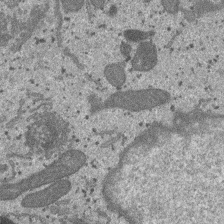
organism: Human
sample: Lung epithelial cells infected with SARS-CoV-2